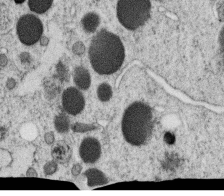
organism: C. elegans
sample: C. elegans oocyte; sperm cells